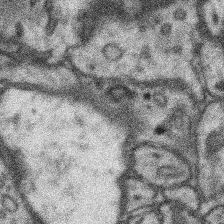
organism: Mouse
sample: Somatosensory cortex neuropil